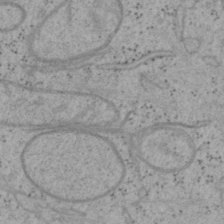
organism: Human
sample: HeLa cells